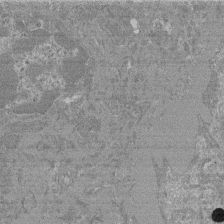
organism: Mouse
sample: Glomerulus